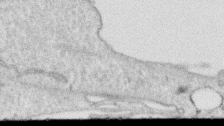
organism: Human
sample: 1205lu cells